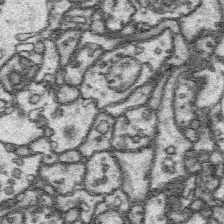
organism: Platynereis dumerilii